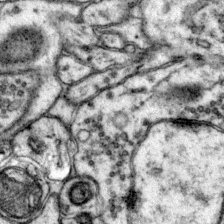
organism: Mouse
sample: Primary visual cortex